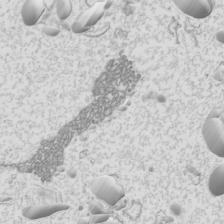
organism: Mouse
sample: Cilia; mouse epididymis